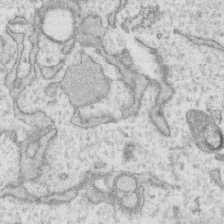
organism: Human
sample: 1205lu cells